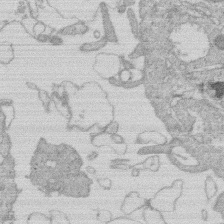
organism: Human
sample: Macrophage cells